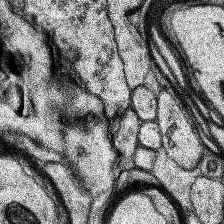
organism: Human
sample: Temporal Lobe